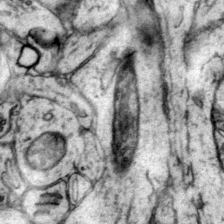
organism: Mouse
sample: Primary visual cortex